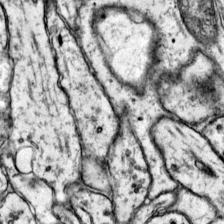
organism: Mouse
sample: Primary visual cortex